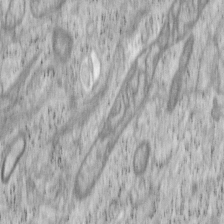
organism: Human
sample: HeLa cells